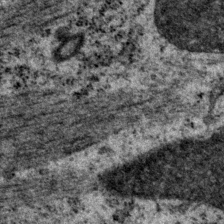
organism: P. pacificus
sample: Pharynx